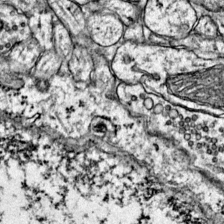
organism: Mouse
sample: Primary visual cortex